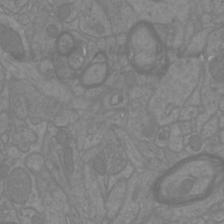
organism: Mouse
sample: Cortical neurons